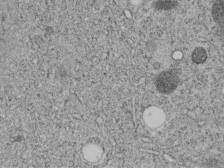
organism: C. elegans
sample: C. elegans embryo early stage